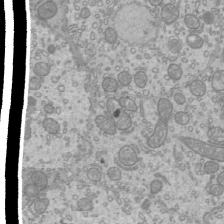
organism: Mouse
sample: Cilia; mouse epididymis